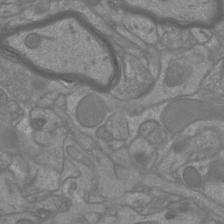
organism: Mouse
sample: Cortical neurons